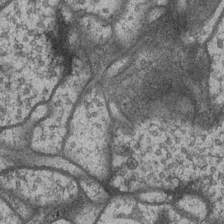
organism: Drosophila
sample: Optic medulla